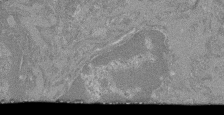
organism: Mouse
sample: Glomerulus